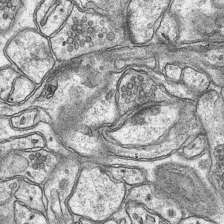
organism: Mouse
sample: CA1 Hippocampus